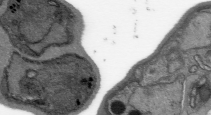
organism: Plasmodium falciparum